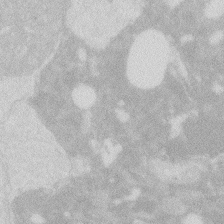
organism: Zebrafish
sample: Macrophage